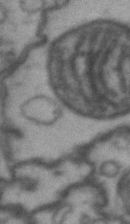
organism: Drosophila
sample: Brain